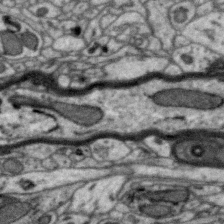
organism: Zebra finch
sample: Brain